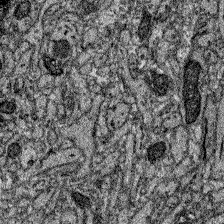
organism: Zebrafish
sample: Larval olfactory bulb